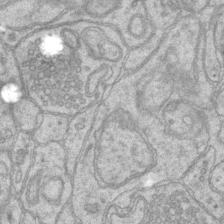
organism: Mouse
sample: CA1 Hippocampus